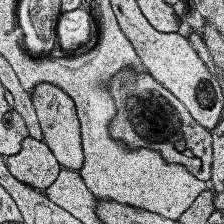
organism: Human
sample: Temporal Lobe